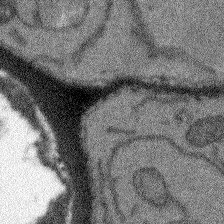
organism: Arabidopsis thaliana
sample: Root tip